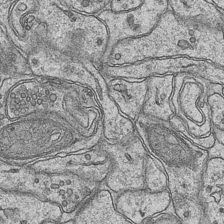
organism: Mouse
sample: CA1 Hippocampus